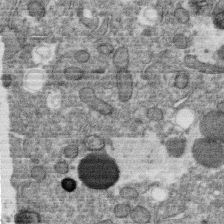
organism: C. elegans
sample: C. elegans oocyte; sperm cells